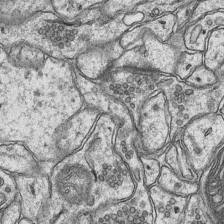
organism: Mouse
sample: CA1 Hippocampus